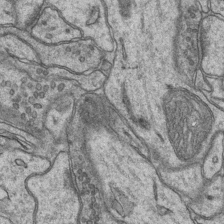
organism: Mouse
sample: CA1 Hippocampus